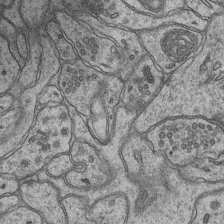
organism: Mouse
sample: CA1 Hippocampus